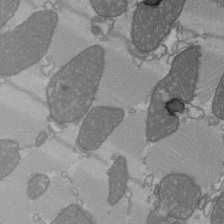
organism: C57BL Mouse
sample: Heart